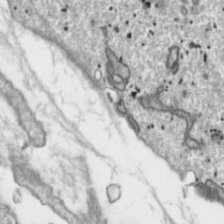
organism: Toxoplasma gondii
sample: Parasites in a vacuole inside a host cell